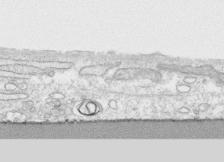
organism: Human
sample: CRL-1474